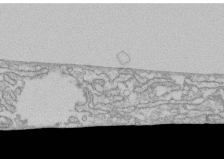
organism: Human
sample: CRL-1474